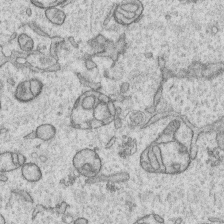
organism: Human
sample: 1205lu cells